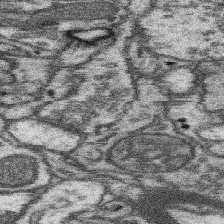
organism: Mouse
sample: Somatosensory cortex neuropil